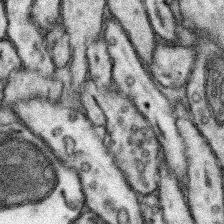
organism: Mouse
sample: Somatosensory cortex neuropil